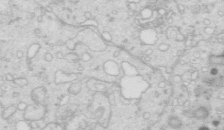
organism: Mouse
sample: Multiciliated cells